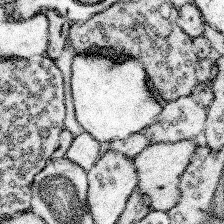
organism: Mouse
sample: Somatosensory cortex neuropil